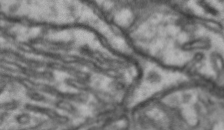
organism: Drosophila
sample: Brain